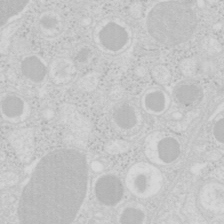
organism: Mouse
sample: Pancreas